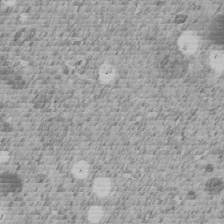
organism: C. elegans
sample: C. elegans embryo early stage